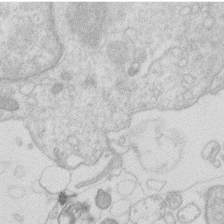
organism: Human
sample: Macrophage cells